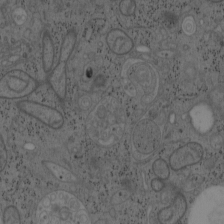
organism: Mouse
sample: OT-I killer T cells with ID8 ovarian cancer cells